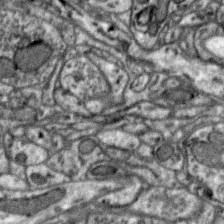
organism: Zebra finch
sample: Brain